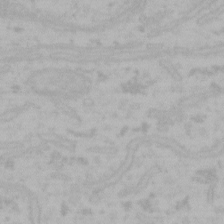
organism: Mouse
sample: Choroid plexus